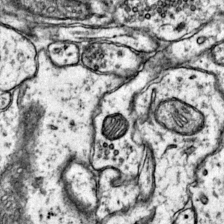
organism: Mouse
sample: Primary visual cortex